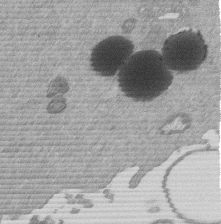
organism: Mouse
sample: Dividing mouse embryo 1 cell stage